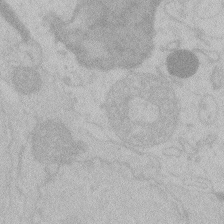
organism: Zebrafish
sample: Macrophage infected with Toxoplasma gondii